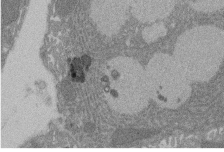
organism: Rat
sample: Salivary granule